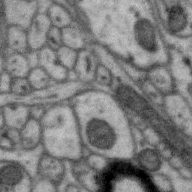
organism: Zebra finch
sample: Brain